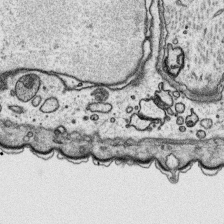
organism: Platynereis dumerilii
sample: Parapodia